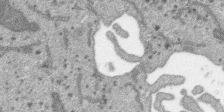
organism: Human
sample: Lung epithelial cells infected with SARS-CoV-2